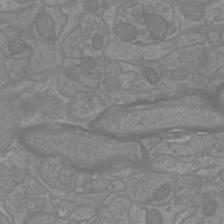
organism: Mouse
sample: Cortical neurons